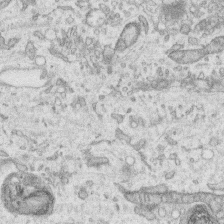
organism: Human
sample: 1205lu cells